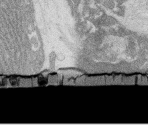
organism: Rat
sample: Salivary granule